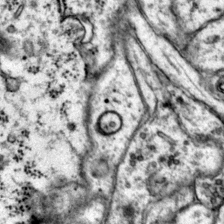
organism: Mouse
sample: Primary visual cortex